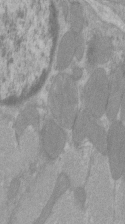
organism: C57BL Mouse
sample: Tibialis anterior muscle cell